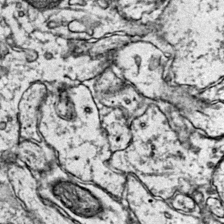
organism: Mouse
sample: Primary visual cortex